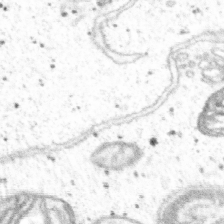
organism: Human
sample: HeLa cells